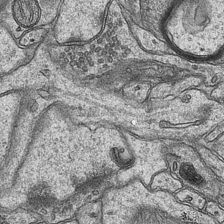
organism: Mouse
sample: CA1 Hippocampus